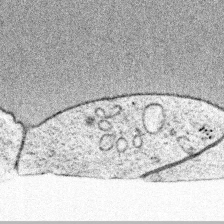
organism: Human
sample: HeLa cells